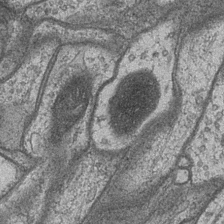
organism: Drosophila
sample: Optic medulla